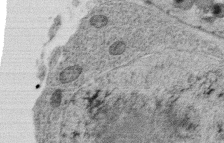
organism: C. elegans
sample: C. elegans oocyte; sperm cells